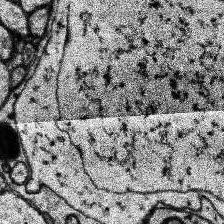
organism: Human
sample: Temporal Lobe